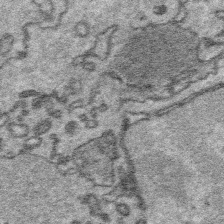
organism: Platynereis dumerilii